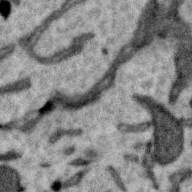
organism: Zebra finch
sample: Brain